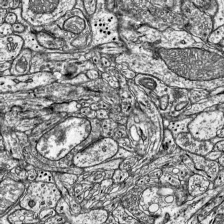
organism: Mouse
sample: Visual Cortex